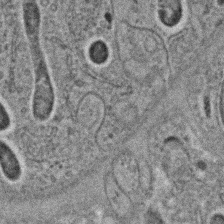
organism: C. elegans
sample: C. elegans embryo